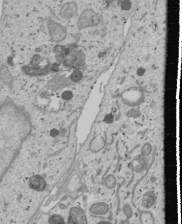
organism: Human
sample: Mitochondria in U2OS cells